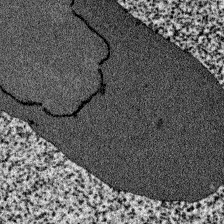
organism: Zebrafish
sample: Larval olfactory bulb